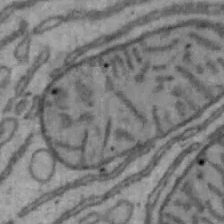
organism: Mouse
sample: Liver